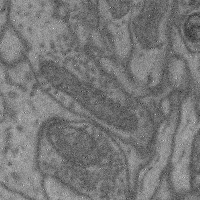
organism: Mouse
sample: Cerebral cortex